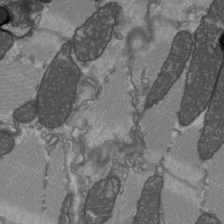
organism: C57BL Mouse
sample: Heart